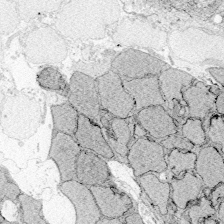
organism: Zebrafish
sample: Whole-Brain